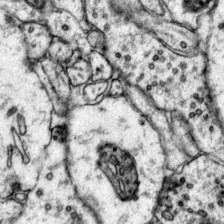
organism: Mouse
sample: Primary visual cortex